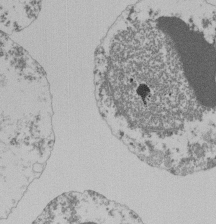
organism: Mouse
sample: Activated Pmel transgenic CD8+ T Cells